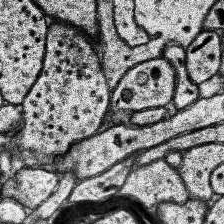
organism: Human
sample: Temporal Lobe